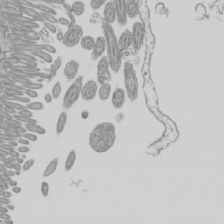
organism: Mouse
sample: Cilia; mouse epididymis